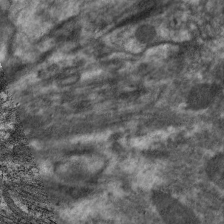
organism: C. elegans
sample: Pharynx